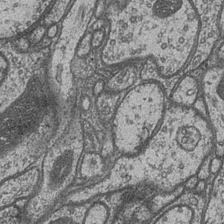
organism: Drosophila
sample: Optic medulla